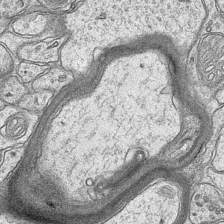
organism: Mouse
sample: CA1 Hippocampus